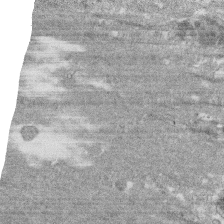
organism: Human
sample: CRL-1474